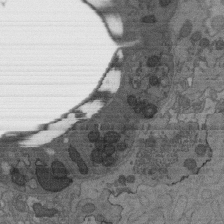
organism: C. elegans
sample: AFD neurons C. elegans